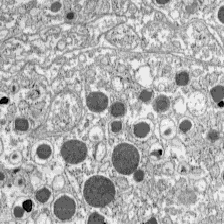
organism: C57BL Mouse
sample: Pancreatic islet